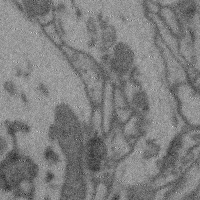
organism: Mouse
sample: Cerebral cortex